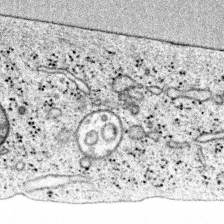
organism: Human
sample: HeLa cells